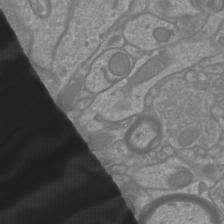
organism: Mouse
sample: Cortical neurons